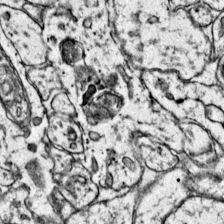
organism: Mouse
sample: Primary visual cortex